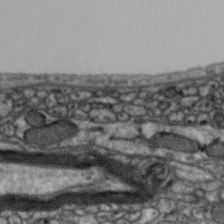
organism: Zebra finch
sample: Brain